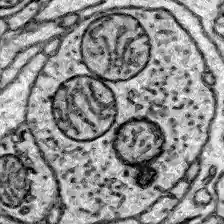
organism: Zebrafish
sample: Brain